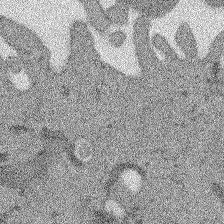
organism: Human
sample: HeLa cells